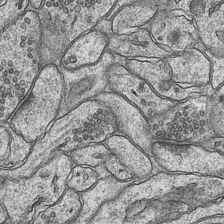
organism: Mouse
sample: CA1 Hippocampus